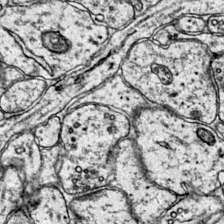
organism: Mouse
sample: Primary visual cortex